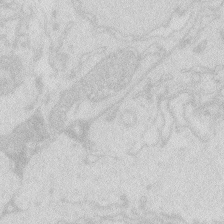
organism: Zebrafish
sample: Macrophage